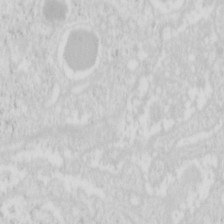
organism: Mouse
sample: Pancreas